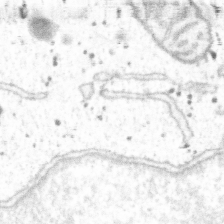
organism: Human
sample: HeLa cells